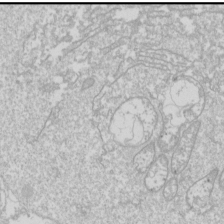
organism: Drosophila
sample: Cell division; meiosis; drosophila spermatocytes